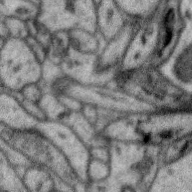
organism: Zebra finch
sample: Brain